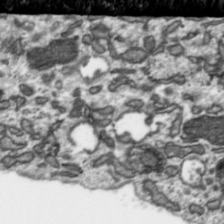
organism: Toxoplasma gondii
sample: Parasites in a vacuole inside a host cell